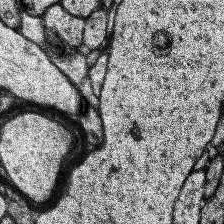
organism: Human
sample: Temporal Lobe